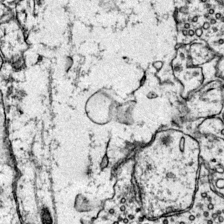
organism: Mouse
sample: Primary visual cortex